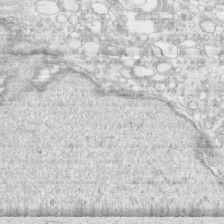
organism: Human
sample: CRL-1474